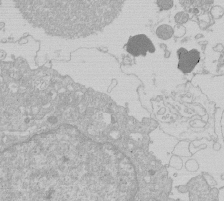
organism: Human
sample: Macrophage cells